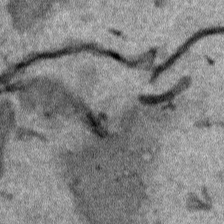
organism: Human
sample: Mitochondria in HCT116 cells